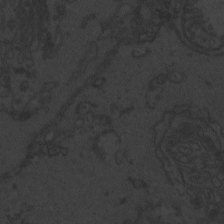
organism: Zebrafish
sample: Macrophage infected with Toxoplasma gondii